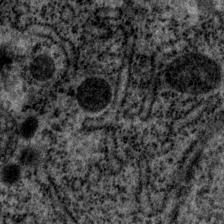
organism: P. pacificus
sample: Pharynx